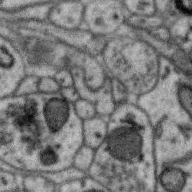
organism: Zebra finch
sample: Brain